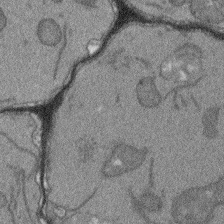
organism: Arabidopsis thaliana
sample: Root tip